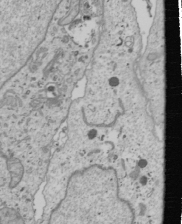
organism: Human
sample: Mitochondria in U2OS cells